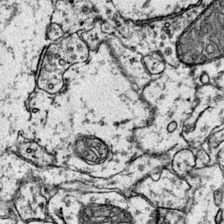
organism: Mouse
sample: Primary visual cortex